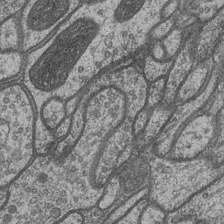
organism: Drosophila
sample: Optic medulla